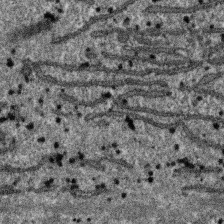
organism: Human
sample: Lung epithelial cells infected with SARS-CoV-2